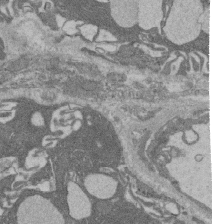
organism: Rat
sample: Salivary granule